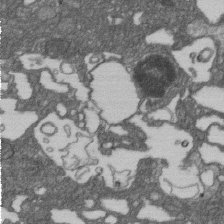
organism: Drosophila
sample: Nephrocyte